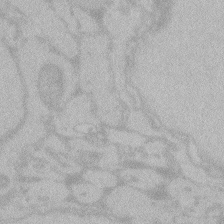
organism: Zebrafish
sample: Macrophage infected with Toxoplasma gondii